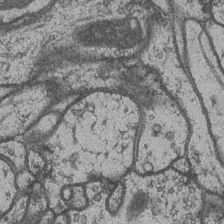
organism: Drosophila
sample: Optic medulla